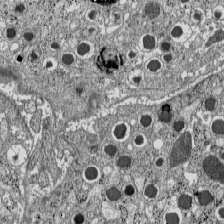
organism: C57BL Mouse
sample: Pancreatic islet